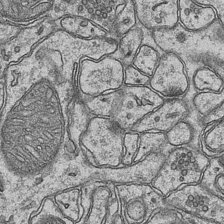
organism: Mouse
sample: CA1 Hippocampus